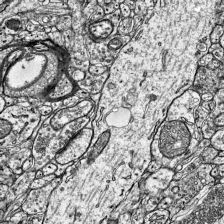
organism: Mouse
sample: Visual Cortex